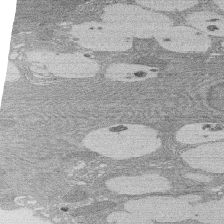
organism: Rat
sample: Salivary granule